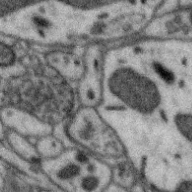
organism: Zebra finch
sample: Brain